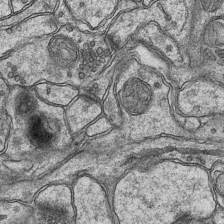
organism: Mouse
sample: CA1 Hippocampus